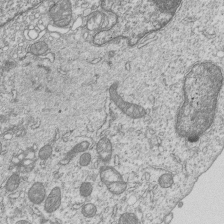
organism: Human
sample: MDA-MB-231 cells